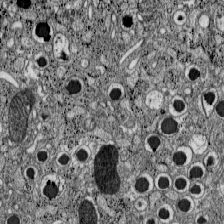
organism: C57BL Mouse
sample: Pancreatic islet